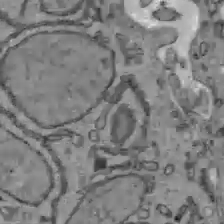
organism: C57BL Mouse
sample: Liver